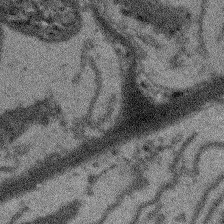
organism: Arabidopsis thaliana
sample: Root tip